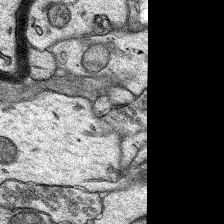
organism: Rat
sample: Hippocampus